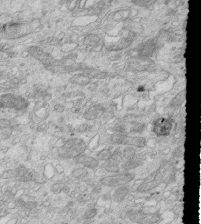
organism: Mouse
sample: Multiciliated cells